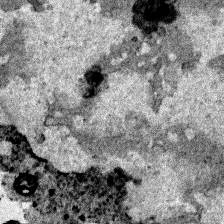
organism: Human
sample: Mitochondria in HCT116 cells